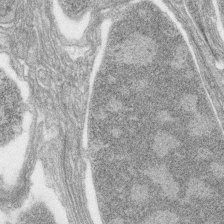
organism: Zebrafish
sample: synaptic ribbons in rod cells and cone cells